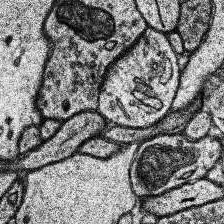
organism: Human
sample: Temporal Lobe